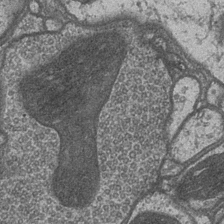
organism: Drosophila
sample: Optic medulla